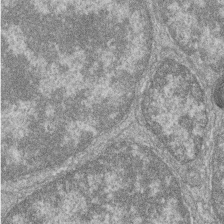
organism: Zebrafish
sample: Cilia; retinal pigment epithelium